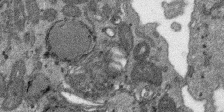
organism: Human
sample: Lung epithelial cells infected with SARS-CoV-2